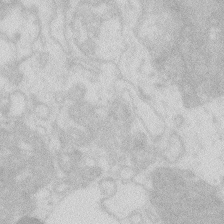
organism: Zebrafish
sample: Macrophage